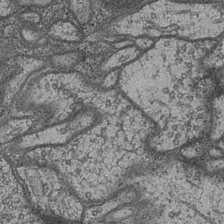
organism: Drosophila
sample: Optic medulla